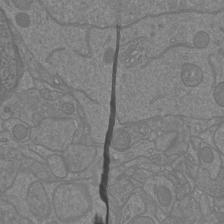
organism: Mouse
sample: Cortical neurons